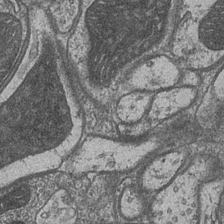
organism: Drosophila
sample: Optic medulla